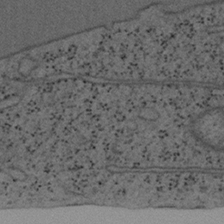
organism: Human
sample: HeLa cells